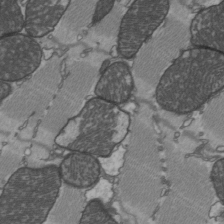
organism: C57BL Mouse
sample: Heart